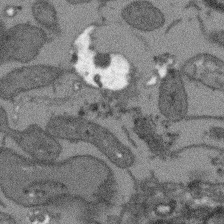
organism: Arabidopsis thaliana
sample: Root tip